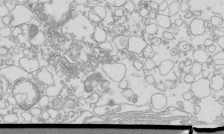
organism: Mouse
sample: Macrophages